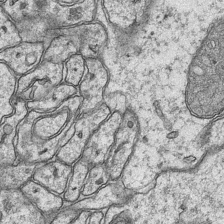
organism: Mouse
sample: CA1 Hippocampus